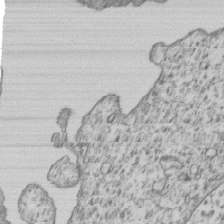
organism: Human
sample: MDA-MB-231 cells